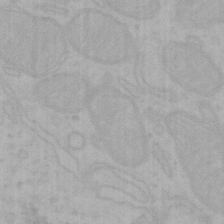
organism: Mouse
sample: Choroid plexus